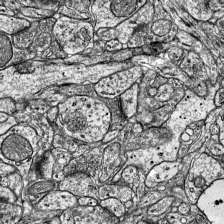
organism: Mouse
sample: Visual Cortex